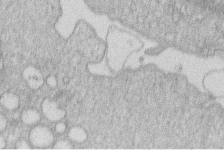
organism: Human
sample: Macrophage cells